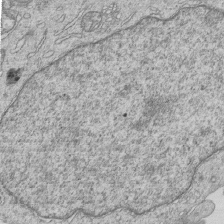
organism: Human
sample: MDA-MB-231 cells